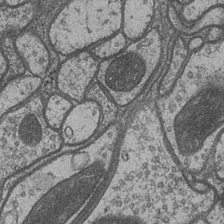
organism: Drosophila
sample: Optic medulla